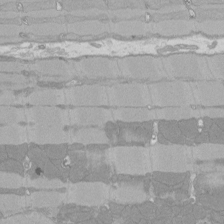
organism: Rat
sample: Left ventricle